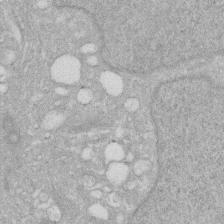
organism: Human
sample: HIV infected U937 cells